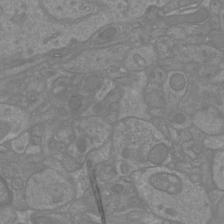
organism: Mouse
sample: Cortical neurons